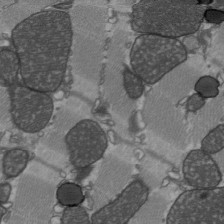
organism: C57BL Mouse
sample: Heart